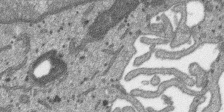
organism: Human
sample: Lung epithelial cells infected with SARS-CoV-2